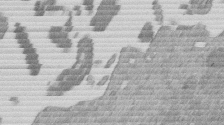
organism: Mouse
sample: Dividing mouse embryo 1 cell stage